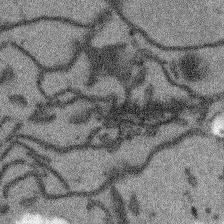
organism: Arabidopsis thaliana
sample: Root tip